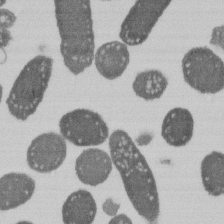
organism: E. coli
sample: Bacterial nucleoid